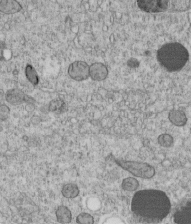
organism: C. elegans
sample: C. elegans embryo early stage